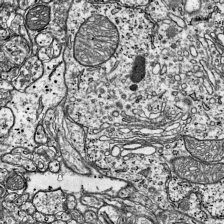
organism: Mouse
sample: Visual Cortex